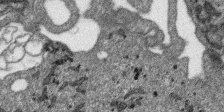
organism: Human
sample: Lung epithelial cells infected with SARS-CoV-2